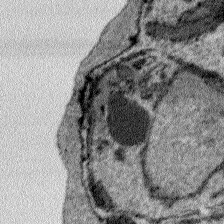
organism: Plasmodium falciparum